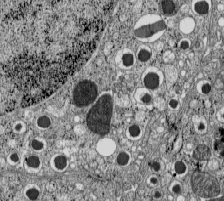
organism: C57BL Mouse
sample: Pancreatic islet